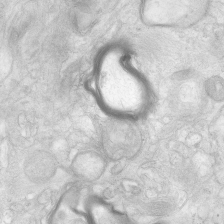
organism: Human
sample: Neocortex